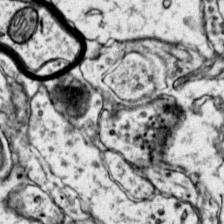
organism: Mouse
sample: Primary visual cortex